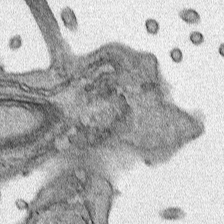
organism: Human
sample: Mitochondria in HCT116 cells